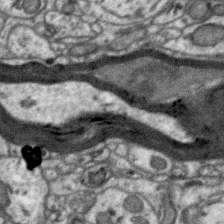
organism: Zebra finch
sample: Brain